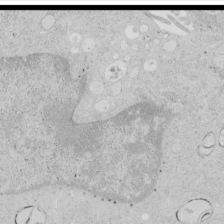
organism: Human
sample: Mitochondria in HCT116 cells